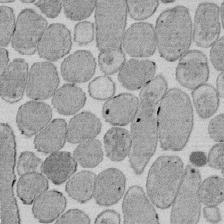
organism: E. coli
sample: Bacterial nucleoid